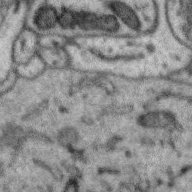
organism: Zebra finch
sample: Brain